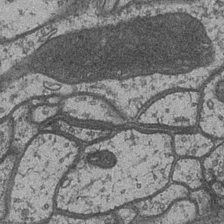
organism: Drosophila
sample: Optic medulla